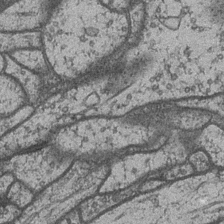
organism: Drosophila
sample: Optic medulla